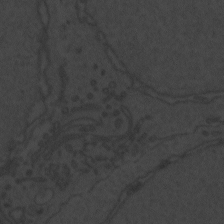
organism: Zebrafish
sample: Macrophage infected with Toxoplasma gondii